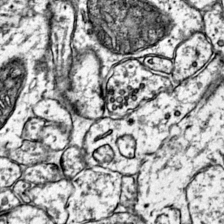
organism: Mouse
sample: Primary visual cortex